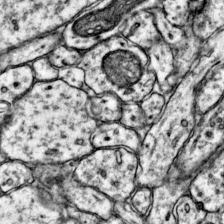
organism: Mouse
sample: Primary visual cortex